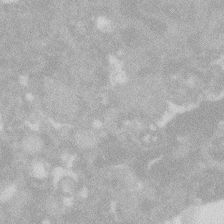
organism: Zebrafish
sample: Macrophage